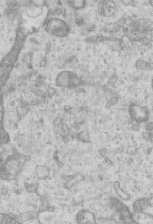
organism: Mouse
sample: Centriole in ependymal cells